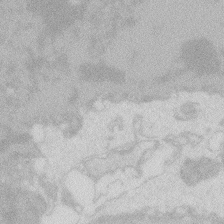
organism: Zebrafish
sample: Macrophage